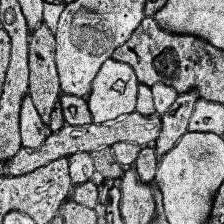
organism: Human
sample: Temporal Lobe